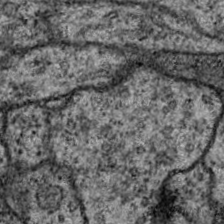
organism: Drosophila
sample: Ventral Nerve Cord